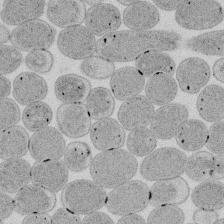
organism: E. coli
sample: Bacterial nucleoid